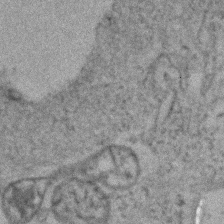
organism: Zebrafish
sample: Zebrafish embryo